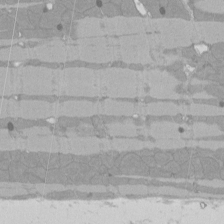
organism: Rat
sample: Left ventricle